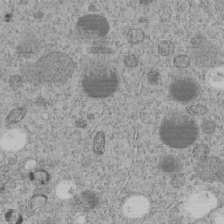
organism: C. elegans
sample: C. elegans embryo early stage